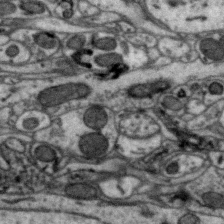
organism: Zebra finch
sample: Brain